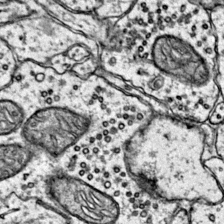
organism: Mouse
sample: Primary visual cortex